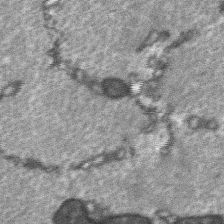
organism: C57BL Mouse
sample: Soleus